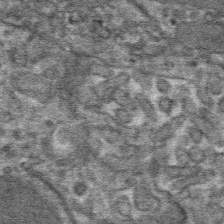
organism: Mouse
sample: Mouse hepatocytes